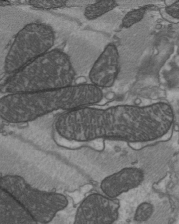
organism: C57BL Mouse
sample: Heart